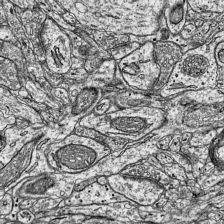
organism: Mouse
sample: Visual Cortex